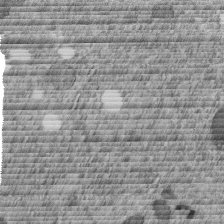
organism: C. elegans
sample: C. elegans embryo early stage